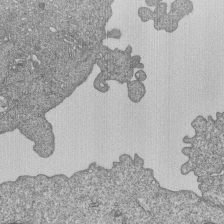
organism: Human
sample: MDA-MB-231 cells